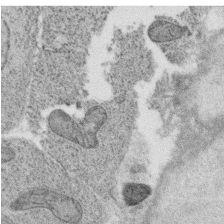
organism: C. elegans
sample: C. elegans oocyte; sperm cells